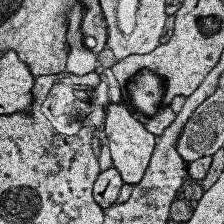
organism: Human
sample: Temporal Lobe